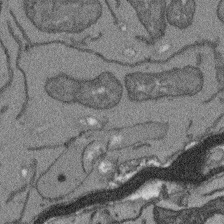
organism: Arabidopsis thaliana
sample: Root tip